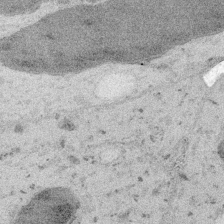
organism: Embia sp.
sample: Silk gland